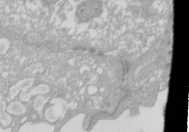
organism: Xenopus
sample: Cilia; centrioles in frog embryo cells